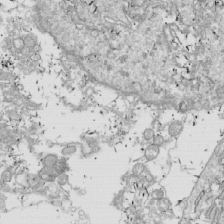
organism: Drosophila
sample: Cell division; meiosis; drosophila spermatocytes